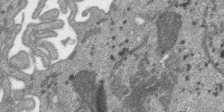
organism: Human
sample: Lung epithelial cells infected with SARS-CoV-2